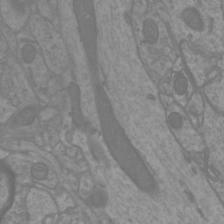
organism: Mouse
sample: Cortical neurons